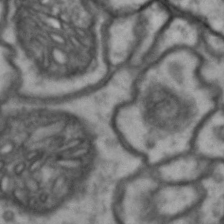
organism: Drosophila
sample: Brain